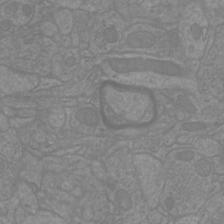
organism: Mouse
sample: Cortical neurons